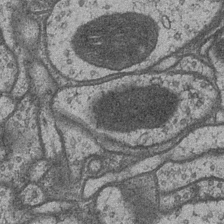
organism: Drosophila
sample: Optic medulla